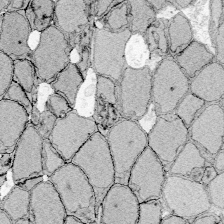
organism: Zebrafish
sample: Whole-Brain